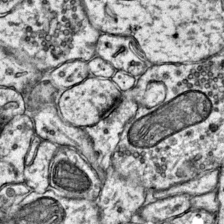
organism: Mouse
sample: Primary visual cortex